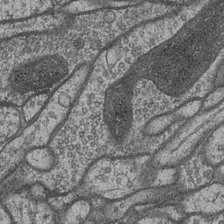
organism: Drosophila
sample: Optic medulla